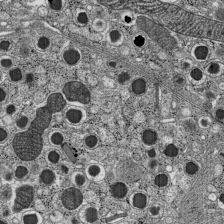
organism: C57BL Mouse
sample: Pancreatic islet